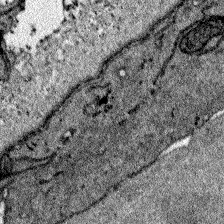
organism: Zebrafish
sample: Larval olfactory bulb